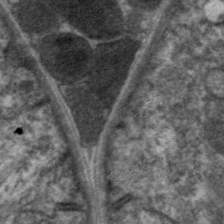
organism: C. elegans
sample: Pharynx